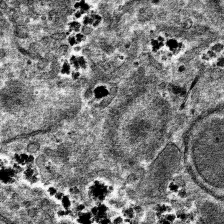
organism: Mouse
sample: Mouse hepatocytes